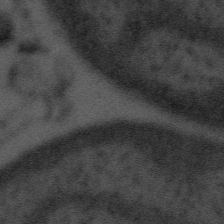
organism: Tuwongella immobilis